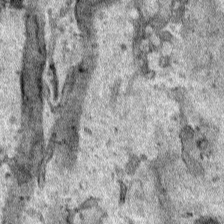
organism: Human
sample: Mitochondria in HCT116 cells